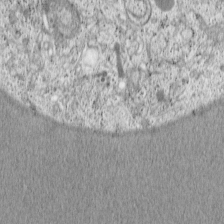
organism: African green monkey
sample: COS-7 cells